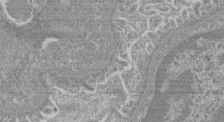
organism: Mouse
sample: Glomerulus